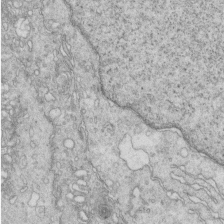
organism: Mouse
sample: Multiciliated cells